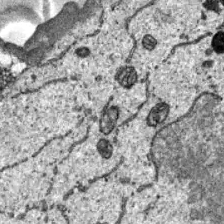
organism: Human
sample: HeLa cells